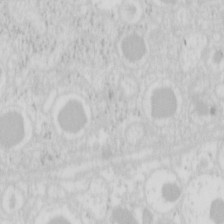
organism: Mouse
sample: Pancreas